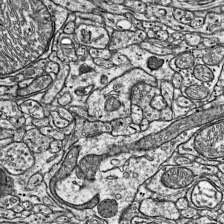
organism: Mouse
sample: Visual Cortex